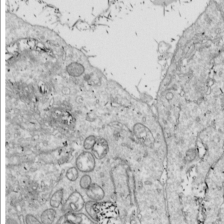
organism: Drosophila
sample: Cell division; meiosis; drosophila spermatocytes